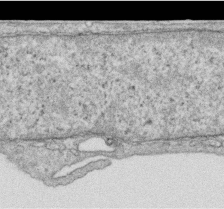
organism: Human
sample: Centriole in RPE cells